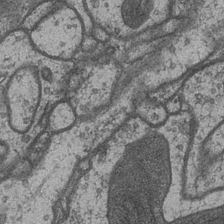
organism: Drosophila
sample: Optic medulla